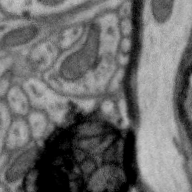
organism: Zebra finch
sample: Brain